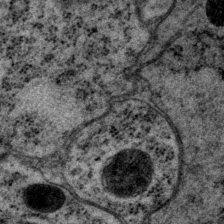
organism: P. pacificus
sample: Pharynx